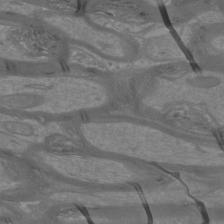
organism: Mouse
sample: Cortical neurons